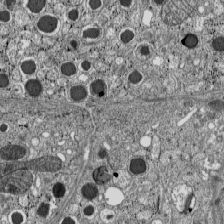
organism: C57BL Mouse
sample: Pancreatic islet